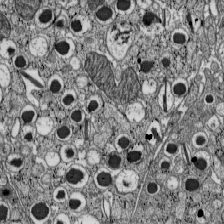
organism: C57BL Mouse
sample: Pancreatic islet